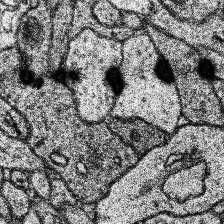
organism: Human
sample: Temporal Lobe